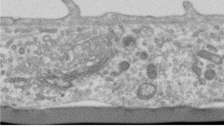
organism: Human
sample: Centriole in RPE cells